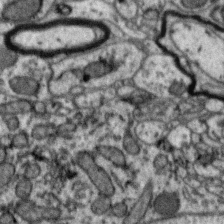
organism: Zebra finch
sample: Brain